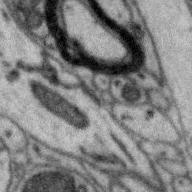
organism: Zebra finch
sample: Brain